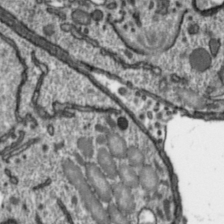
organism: Toxoplasma gondii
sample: Parasites in a vacuole inside a host cell